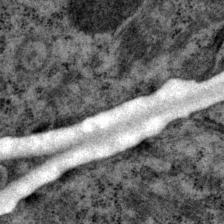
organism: P. pacificus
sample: Pharynx